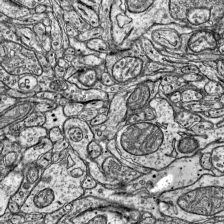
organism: Mouse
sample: Visual Cortex